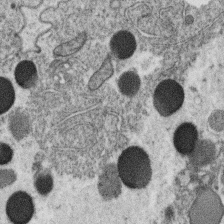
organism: C. elegans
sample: C. elegans oocyte; sperm cells